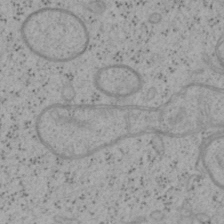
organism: Human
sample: HeLa cells